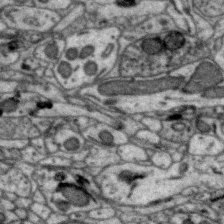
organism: Zebra finch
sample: Brain